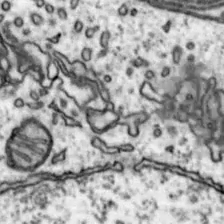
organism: Mouse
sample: Nucleus accumbens